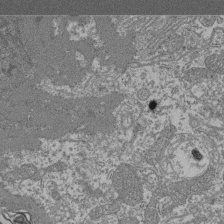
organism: Mouse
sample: Glomerulus